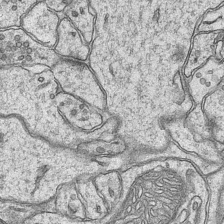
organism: Mouse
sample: CA1 Hippocampus